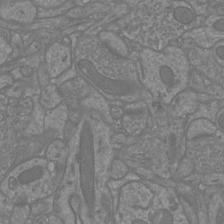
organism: Mouse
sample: Cortical neurons